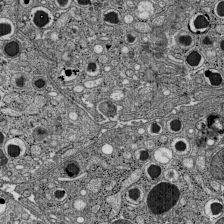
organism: C57BL Mouse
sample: Pancreatic islet